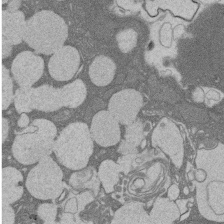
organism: Rat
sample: Salivary granule